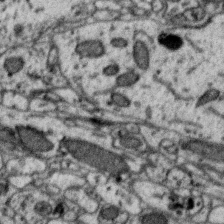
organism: Zebra finch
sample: Brain